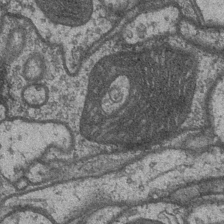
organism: Drosophila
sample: Optic medulla